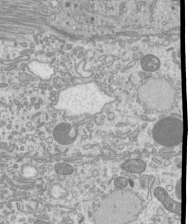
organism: Mouse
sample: Cilia; mouse epididymis